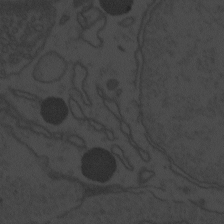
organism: Zebrafish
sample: Macrophage infected with Toxoplasma gondii